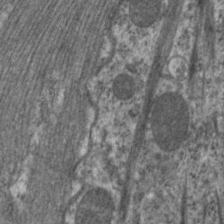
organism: C. elegans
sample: Pharynx